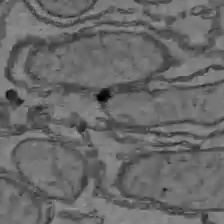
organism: C57BL Mouse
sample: Liver